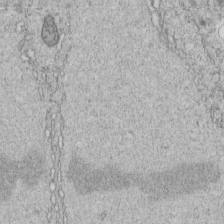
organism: C. elegans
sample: C. elegans embryo early stage